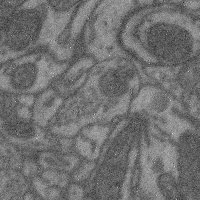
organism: Mouse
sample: Cerebral cortex